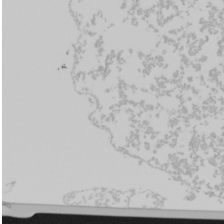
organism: Mouse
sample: Cancer cell death in ED-1 cells